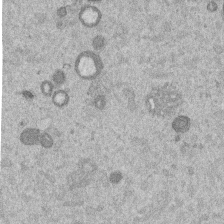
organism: Mouse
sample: Dividing mouse embryo 1 cell stage